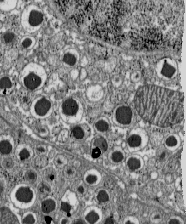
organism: C57BL Mouse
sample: Pancreatic islet